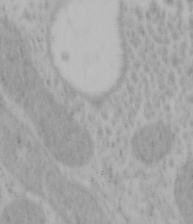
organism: Mouse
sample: OT-I killer T cells with ID8 ovarian cancer cells